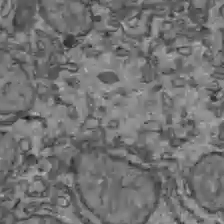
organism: C57BL Mouse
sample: Liver